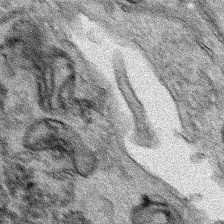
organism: Human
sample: Mitochondria in HCT116 cells